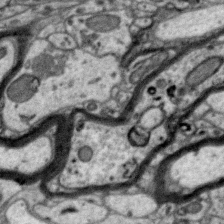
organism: Zebra finch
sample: Brain